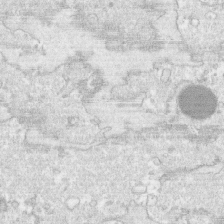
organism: Human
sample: CRL-1474